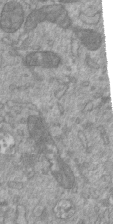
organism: Mouse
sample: ED-1 cell nuclei; centrioles